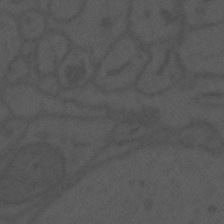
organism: Mouse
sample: Suprachiasmatic nucleus